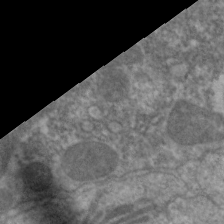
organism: C. elegans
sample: Pharynx